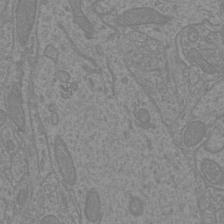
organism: Mouse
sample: Cortical neurons